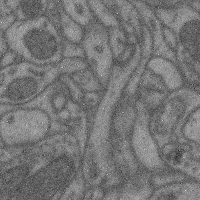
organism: Mouse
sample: Cerebral cortex